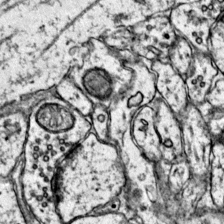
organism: Mouse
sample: Primary visual cortex